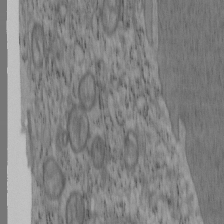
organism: Human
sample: HeLa cells